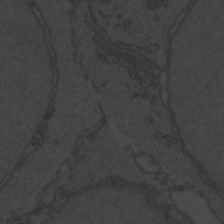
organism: Zebrafish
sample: Macrophage infected with Toxoplasma gondii